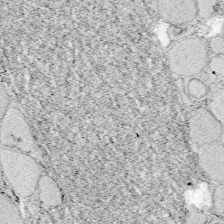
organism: Zebrafish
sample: Whole-Brain